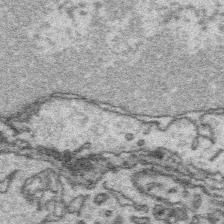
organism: Platynereis dumerilii